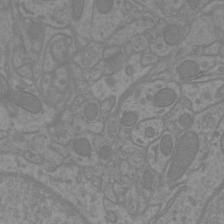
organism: Mouse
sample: Cortical neurons